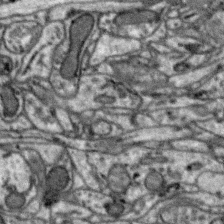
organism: Zebra finch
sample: Brain